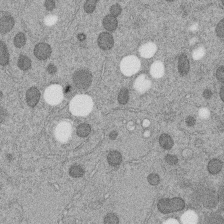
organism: C. elegans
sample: C. elegans embryo early stage